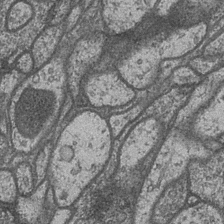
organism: Drosophila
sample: Optic medulla